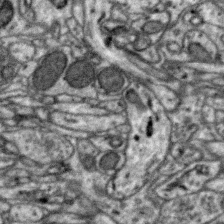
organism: Zebra finch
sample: Brain